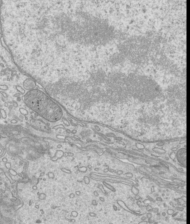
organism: Mouse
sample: Cilia; mouse epididymis